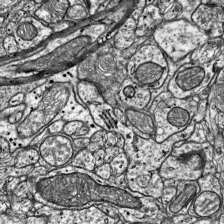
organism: Mouse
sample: Visual Cortex